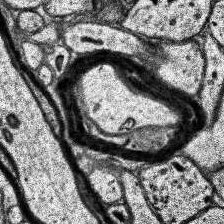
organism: Human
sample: Temporal Lobe